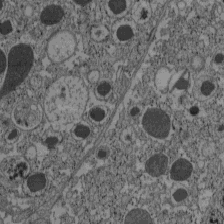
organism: C57BL Mouse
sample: Pancreatic islet